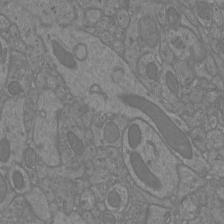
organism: Mouse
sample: Cortical neurons